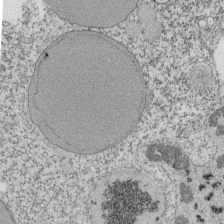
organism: Tetrahymena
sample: Cilia in tetrahymena